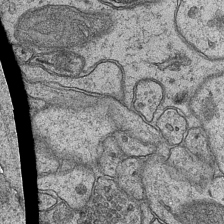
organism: Mouse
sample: CA1 Hippocampus